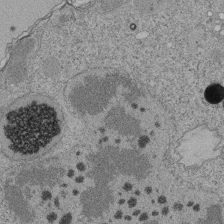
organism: Tetrahymena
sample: Cilia in tetrahymena